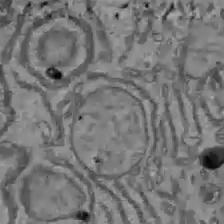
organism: C57BL Mouse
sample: Liver